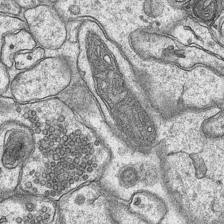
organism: Mouse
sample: CA1 Hippocampus